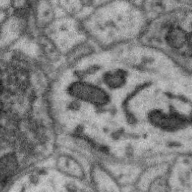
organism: Zebra finch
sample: Brain